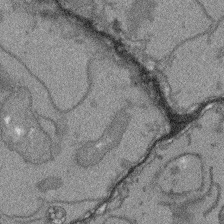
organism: Arabidopsis thaliana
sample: Root tip